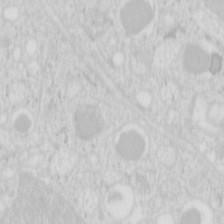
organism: Mouse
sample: Pancreas